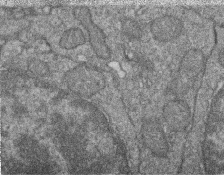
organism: Zebrafish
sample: Cilia; retinal pigment epithelium